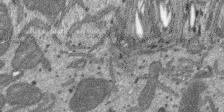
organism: Human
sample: Lung epithelial cells infected with SARS-CoV-2